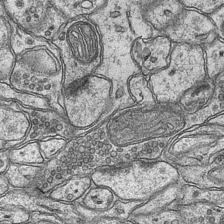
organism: Mouse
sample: CA1 Hippocampus